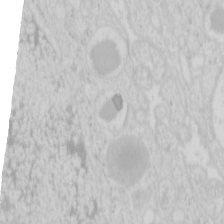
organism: Mouse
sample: Pancreas